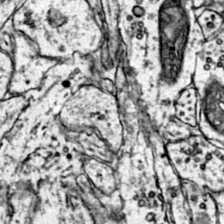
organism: Mouse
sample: Primary visual cortex